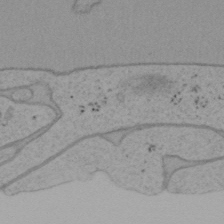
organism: Human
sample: HeLa cells